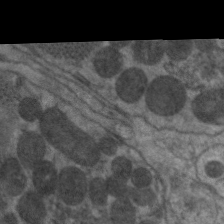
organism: C. elegans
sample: Pharynx